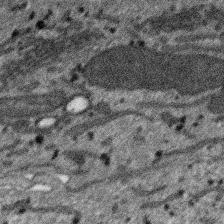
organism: Human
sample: Lung epithelial cells infected with SARS-CoV-2